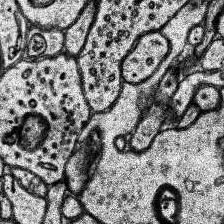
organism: Human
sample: Temporal Lobe